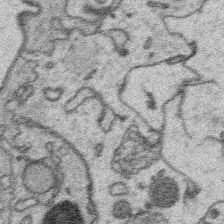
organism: Platynereis dumerilii